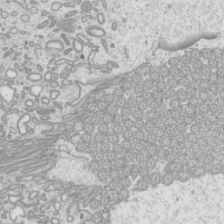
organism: Mouse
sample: Cilia; mouse epididymis